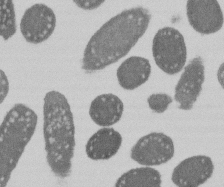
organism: E. coli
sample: Bacterial nucleoid